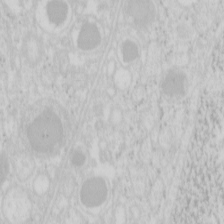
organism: Mouse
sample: Pancreas